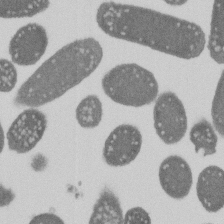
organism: E. coli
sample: Bacterial nucleoid